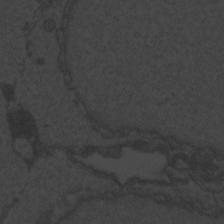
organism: Zebrafish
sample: Macrophage infected with Toxoplasma gondii